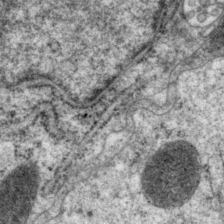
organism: P. pacificus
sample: Pharynx